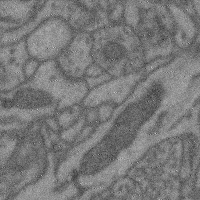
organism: Mouse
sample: Cerebral cortex